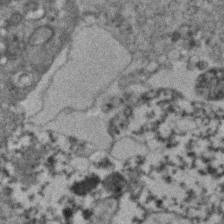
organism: Human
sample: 1205lu cells